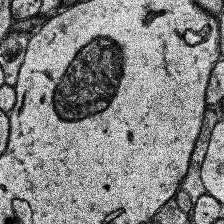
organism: Human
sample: Temporal Lobe